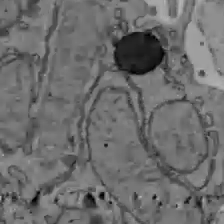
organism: C57BL Mouse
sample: Liver